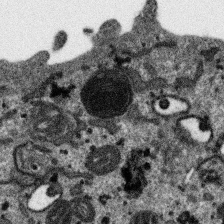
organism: Human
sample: Lung epithelial cells infected with SARS-CoV-2